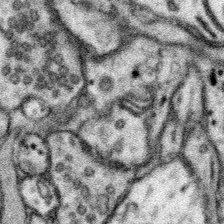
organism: Mouse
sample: Somatosensory cortex neuropil